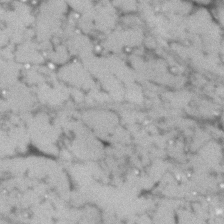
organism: Human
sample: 1205lu cells